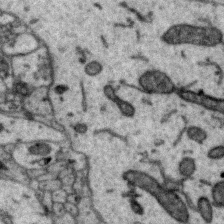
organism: Zebra finch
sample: Brain